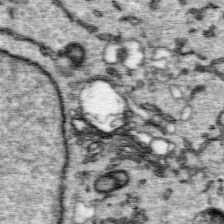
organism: Human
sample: HeLa cells